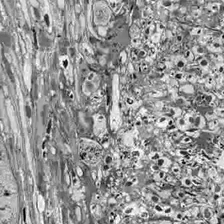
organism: Drosophila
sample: Optic lobe